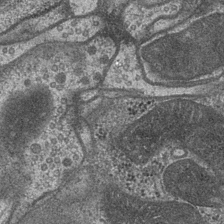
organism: Drosophila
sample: Optic medulla